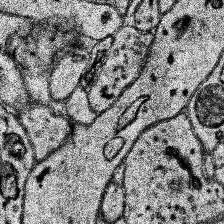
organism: Human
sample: Temporal Lobe